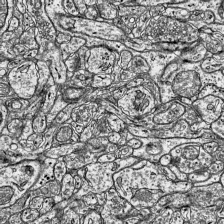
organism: Mouse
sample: Visual Cortex